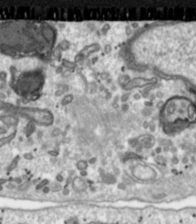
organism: Toxoplasma gondii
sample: Parasites in a vacuole inside a host cell